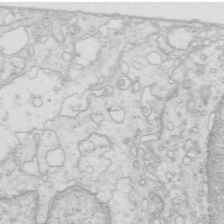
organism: Mouse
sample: Multiciliated cells